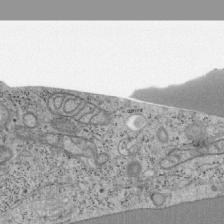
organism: Human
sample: HeLa cells